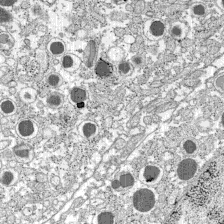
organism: C57BL Mouse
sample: Pancreatic islet